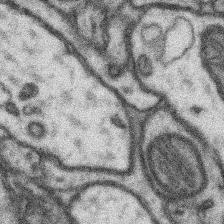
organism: Mouse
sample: Somatosensory cortex neuropil